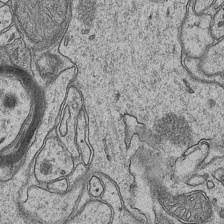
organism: Mouse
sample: CA1 Hippocampus